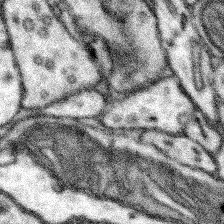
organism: Mouse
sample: Somatosensory cortex neuropil